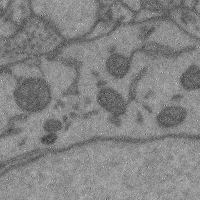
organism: Mouse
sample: Cerebral cortex